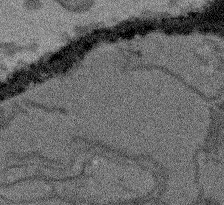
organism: Arabidopsis thaliana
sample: Root tip